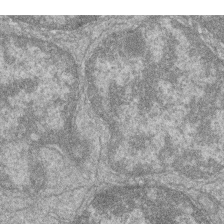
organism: Zebrafish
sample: Cilia; retinal pigment epithelium